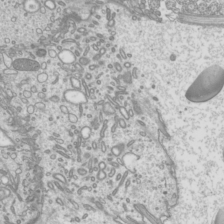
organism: Mouse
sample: Cilia; mouse epididymis